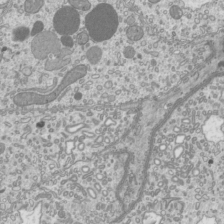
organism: Mouse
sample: Cilia; mouse epididymis